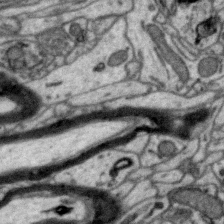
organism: Zebra finch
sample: Brain